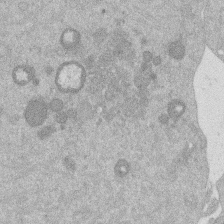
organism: Mouse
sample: Dividing mouse embryo 1 cell stage